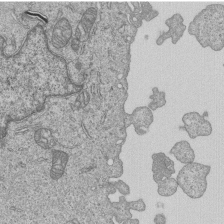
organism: Human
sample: MDA-MB-231 cells